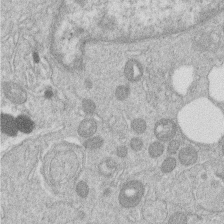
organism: Human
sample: Macrophage cells